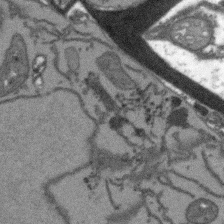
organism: Arabidopsis thaliana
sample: Root tip